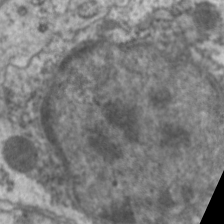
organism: C. elegans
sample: Pharynx